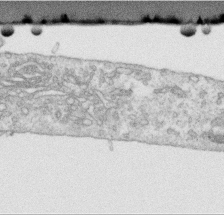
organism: Human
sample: Centriole in RPE cells